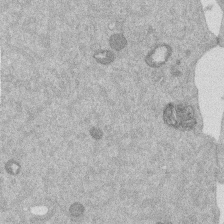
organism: Mouse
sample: Dividing mouse embryo 1 cell stage